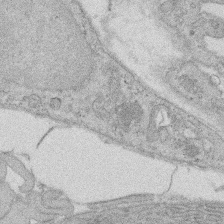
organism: Rat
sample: Salivary granule